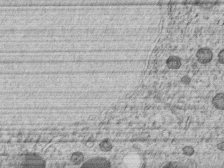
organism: C. elegans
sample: C. elegans embryo early stage